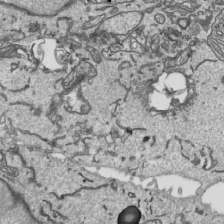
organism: Human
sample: Mitochondria in HCT116 cells